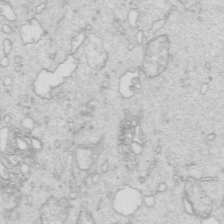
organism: Mouse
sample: Multiciliated cells